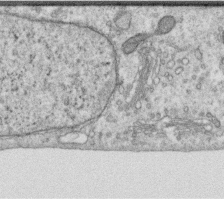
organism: Human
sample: Centriole in RPE cells